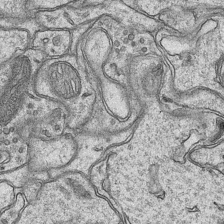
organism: Mouse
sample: CA1 Hippocampus